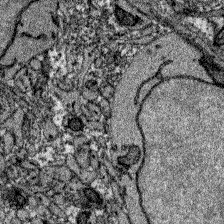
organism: Zebrafish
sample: Larval olfactory bulb